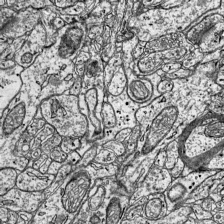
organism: Mouse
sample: Visual Cortex